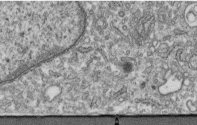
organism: Human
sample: Centriole in fibroblast cells